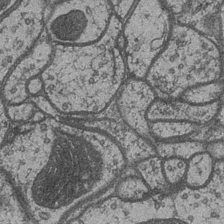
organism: Drosophila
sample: Optic medulla